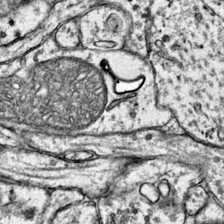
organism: Mouse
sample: Primary visual cortex